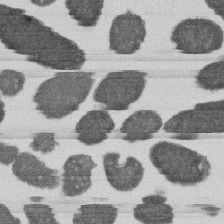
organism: E. coli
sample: Bacterial nucleoid